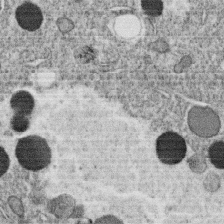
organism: C. elegans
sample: C. elegans oocyte; sperm cells